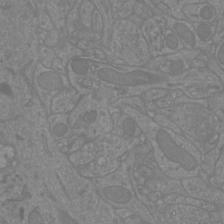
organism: Mouse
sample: Cortical neurons